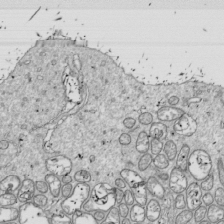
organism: Drosophila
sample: Cell division; meiosis; drosophila spermatocytes